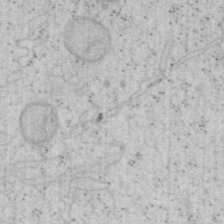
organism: Human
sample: HeLa cells